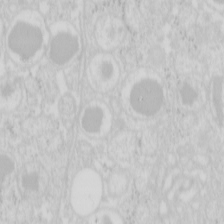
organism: Mouse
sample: Pancreas